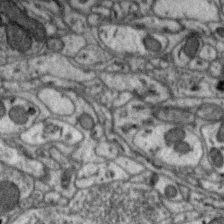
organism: Zebra finch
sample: Brain